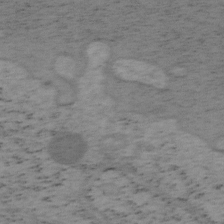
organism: Mouse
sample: OT-I killer T cells with ID8 ovarian cancer cells